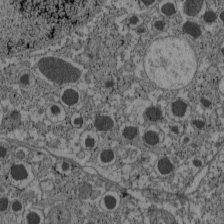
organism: C57BL Mouse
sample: Pancreatic islet